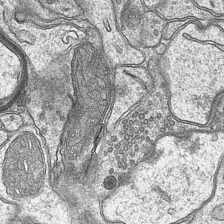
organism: Mouse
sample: CA1 Hippocampus